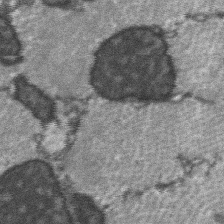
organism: C57BL Mouse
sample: Soleus